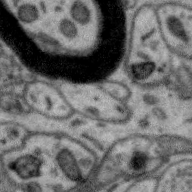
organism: Zebra finch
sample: Brain